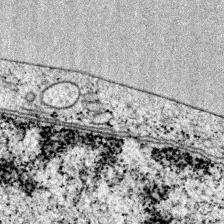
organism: Human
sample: HeLa cells